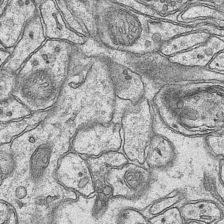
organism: Mouse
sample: CA1 Hippocampus